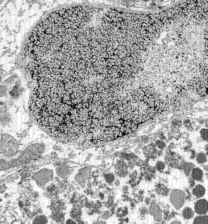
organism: C57BL Mouse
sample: Pancreatic islet